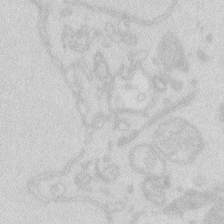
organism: Zebrafish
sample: Macrophage